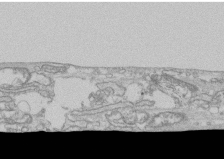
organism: Human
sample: CRL-1474